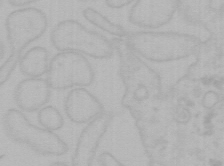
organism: Mouse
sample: Choroid plexus